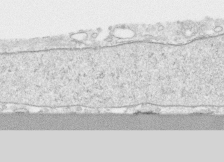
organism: Human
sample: CRL-1474